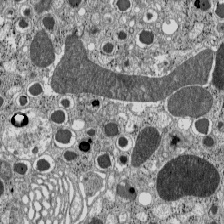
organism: C57BL Mouse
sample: Pancreatic islet